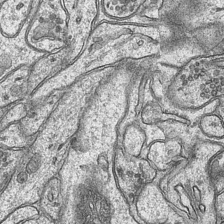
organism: Mouse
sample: CA1 Hippocampus